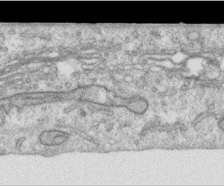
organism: Human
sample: Centriole in RPE cells